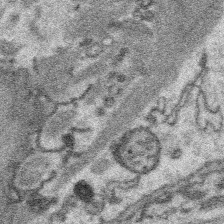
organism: Platynereis dumerilii